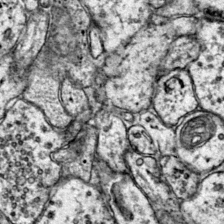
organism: Mouse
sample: Primary visual cortex